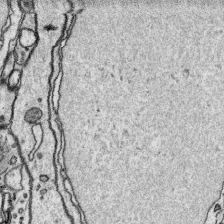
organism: Platynereis dumerilii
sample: Parapodia